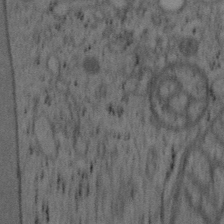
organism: Human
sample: HeLa cells